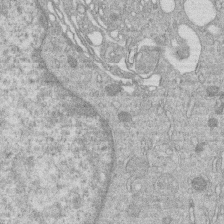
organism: Human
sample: Macrophage cells